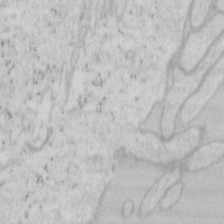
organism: Human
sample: HeLa cells